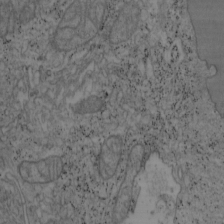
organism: Mouse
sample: OT-I killer T cells with ID8 ovarian cancer cells